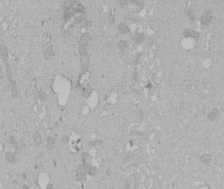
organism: Human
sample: Melanocyte Keratinocyte synapse skin construct